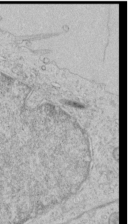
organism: Human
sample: Mitochondria in HCT116 cells